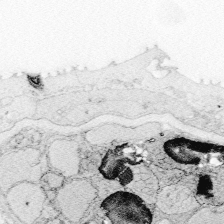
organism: Zebrafish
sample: Whole-Brain